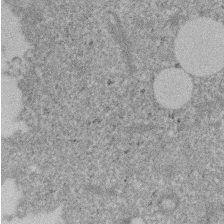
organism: Mouse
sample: Dividing mouse embryo 1 cell stage